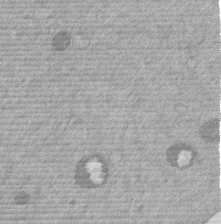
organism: Mouse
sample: Dividing mouse embryo 1 cell stage